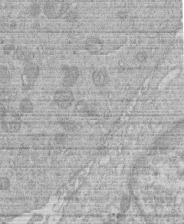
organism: Human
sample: Macrophage cells